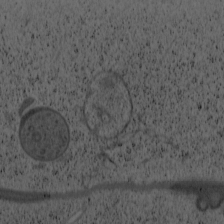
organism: African green monkey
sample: COS-7 cells